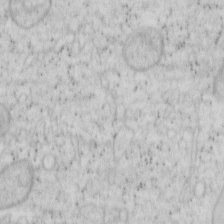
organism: Human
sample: HeLa cells